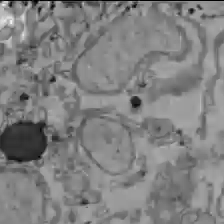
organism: C57BL Mouse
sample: Liver